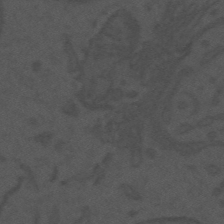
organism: Mouse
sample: Suprachiasmatic nucleus